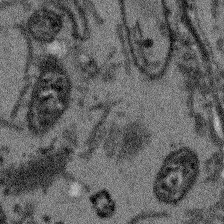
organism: Arabidopsis thaliana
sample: Root tip